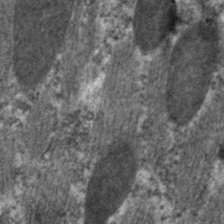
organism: C. elegans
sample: Pharynx